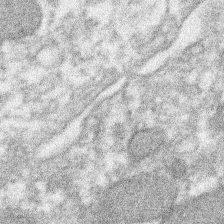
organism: Xenopus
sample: Cilia; centrioles in frog embryo cells